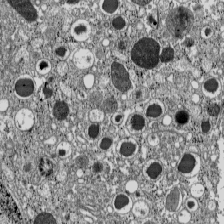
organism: C57BL Mouse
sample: Pancreatic islet